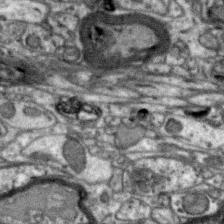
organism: Zebra finch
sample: Brain